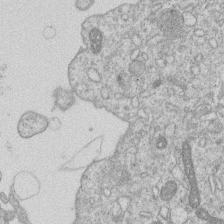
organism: Human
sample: Macrophage cells